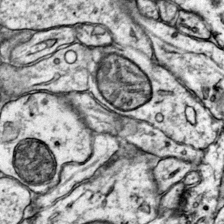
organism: Mouse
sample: Primary visual cortex